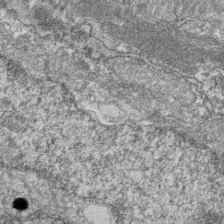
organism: Zebrafish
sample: Cilia; retinal pigment epithelium